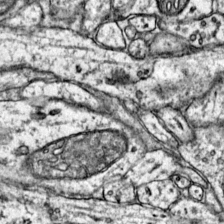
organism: Mouse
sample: Primary visual cortex